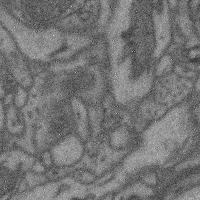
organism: Mouse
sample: Cerebral cortex